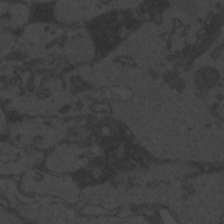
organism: Zebrafish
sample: Macrophage infected with Toxoplasma gondii